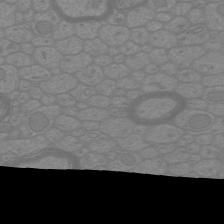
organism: Mouse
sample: Cortical neurons